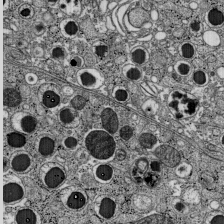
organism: C57BL Mouse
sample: Pancreatic islet